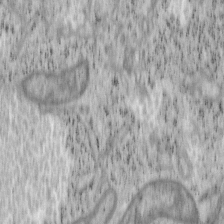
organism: Human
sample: HeLa cells